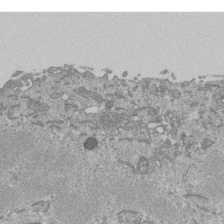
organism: Mouse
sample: ED-1 cell nuclei; centrioles